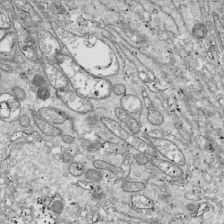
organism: Drosophila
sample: Cell division; meiosis; drosophila spermatocytes